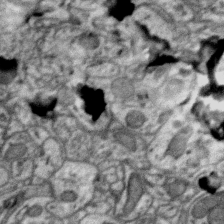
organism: Zebra finch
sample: Brain